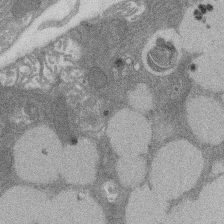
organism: Rat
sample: Salivary granule